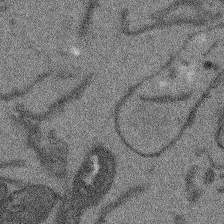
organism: Arabidopsis thaliana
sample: Root tip